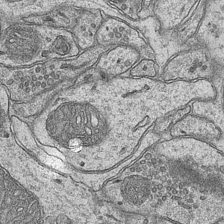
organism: Mouse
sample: CA1 Hippocampus